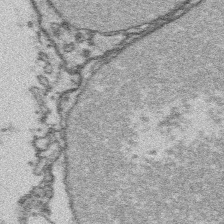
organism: Platynereis dumerilii